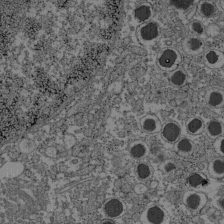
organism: C57BL Mouse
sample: Pancreatic islet